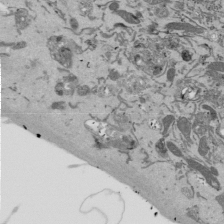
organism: Mouse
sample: ED-1 cell nuclei; centrioles